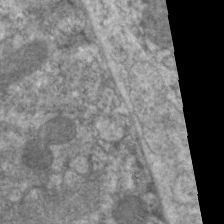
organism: C. elegans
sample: Pharynx